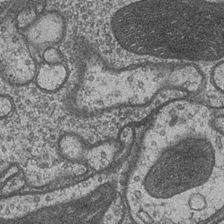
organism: Drosophila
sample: Optic medulla